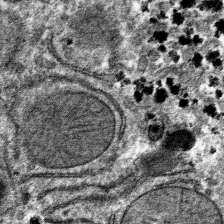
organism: Mouse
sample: Mouse hepatocytes